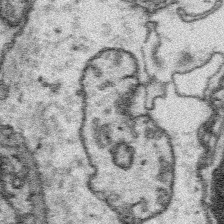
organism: Platynereis dumerilii